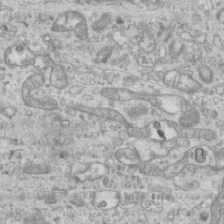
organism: Mouse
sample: Centriole in ependymal cells